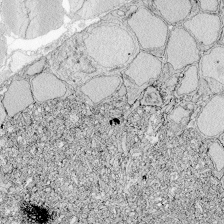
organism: Zebrafish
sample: Whole-Brain